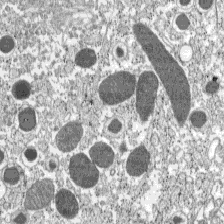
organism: C57BL Mouse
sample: Pancreatic islet